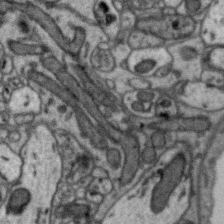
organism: Zebra finch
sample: Brain